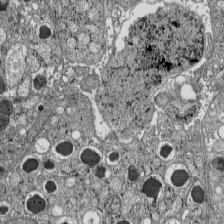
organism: C57BL Mouse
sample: Pancreatic islet